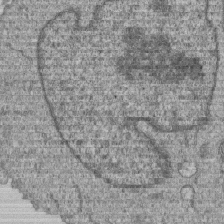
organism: Human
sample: MDA-MB-231 cells